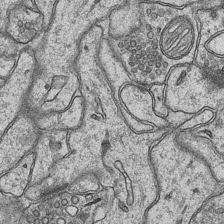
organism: Mouse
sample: CA1 Hippocampus